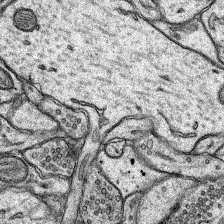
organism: Rat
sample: Hippocampus